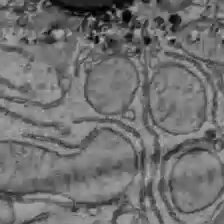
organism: C57BL Mouse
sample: Liver